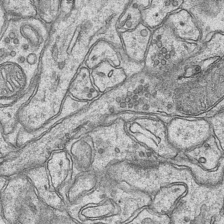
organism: Mouse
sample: CA1 Hippocampus